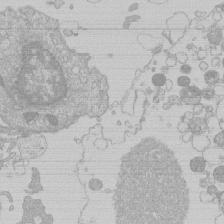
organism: Human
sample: Macrophage cells